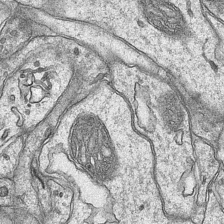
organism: Mouse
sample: CA1 Hippocampus